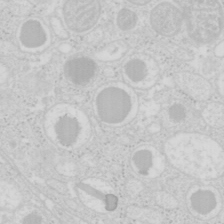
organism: Mouse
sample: Pancreas